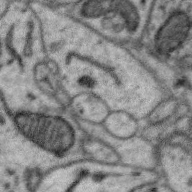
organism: Zebra finch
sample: Brain